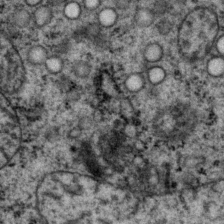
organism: P. pacificus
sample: Pharynx